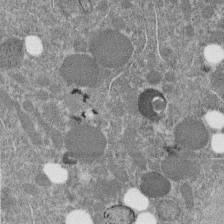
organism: C. elegans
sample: C. elegans embryo early stage